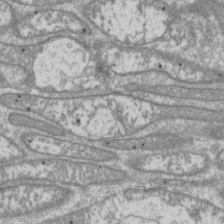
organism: Drosophila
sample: Cell division; meiosis; drosophila spermatocytes